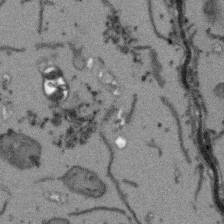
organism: Arabidopsis thaliana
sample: Root tip